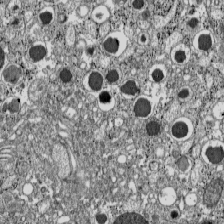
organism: C57BL Mouse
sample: Pancreatic islet